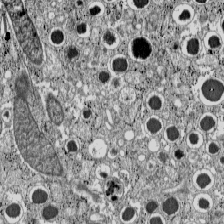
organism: C57BL Mouse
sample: Pancreatic islet